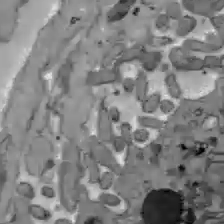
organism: C57BL Mouse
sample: Liver